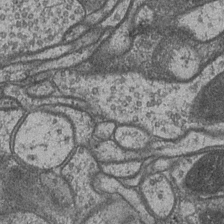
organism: Drosophila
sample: Optic medulla